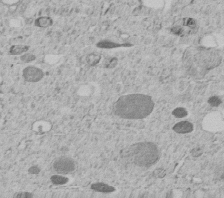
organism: C. elegans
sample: C. elegans embryo early stage